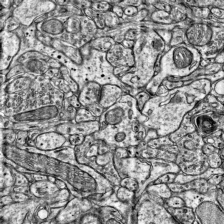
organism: Mouse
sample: Visual Cortex